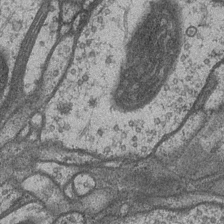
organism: Drosophila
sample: Optic medulla